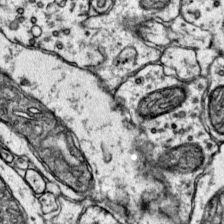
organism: Mouse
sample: Primary visual cortex